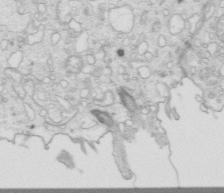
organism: Mouse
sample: Multiciliated cells